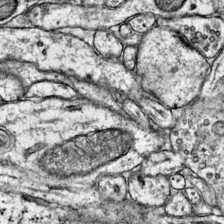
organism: Mouse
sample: Primary visual cortex